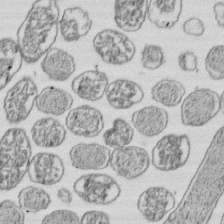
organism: E. coli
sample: Bacterial nucleoid